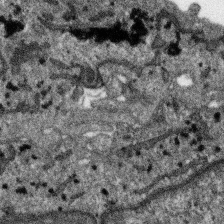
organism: Human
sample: Lung epithelial cells infected with SARS-CoV-2